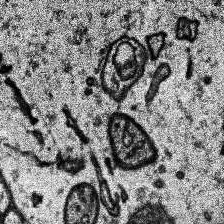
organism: Human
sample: Temporal Lobe